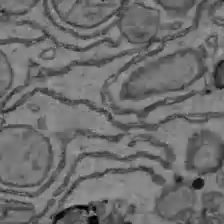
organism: C57BL Mouse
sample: Liver